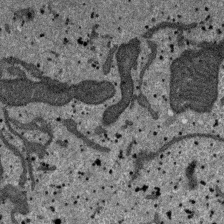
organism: Human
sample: Lung epithelial cells, uninfected (mock) control